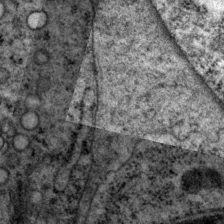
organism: P. pacificus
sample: Pharynx